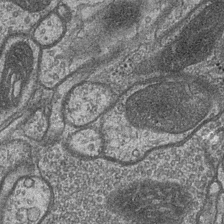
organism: Drosophila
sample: Optic medulla